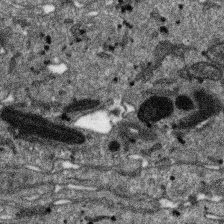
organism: Human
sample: Lung epithelial cells infected with SARS-CoV-2